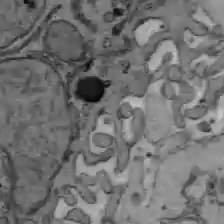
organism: C57BL Mouse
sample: Liver